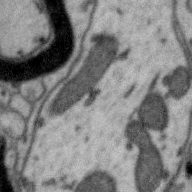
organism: Zebra finch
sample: Brain